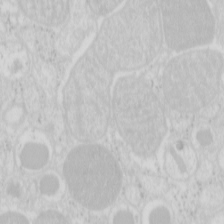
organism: Mouse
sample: Pancreas